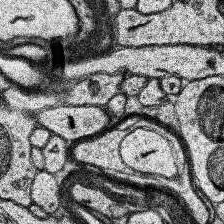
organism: Human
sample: Temporal Lobe